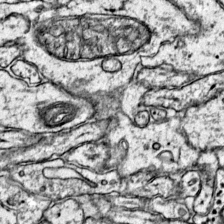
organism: Mouse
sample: Primary visual cortex